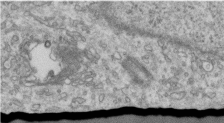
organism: Human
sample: Centriole in RPE cells